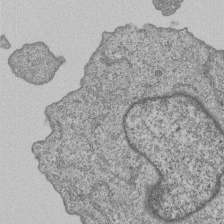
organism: Human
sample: MDA-MB-231 cells